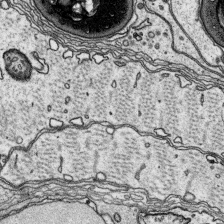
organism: Platynereis dumerilii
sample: Parapodia